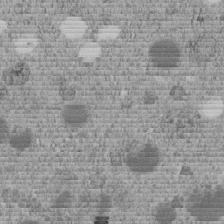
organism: C. elegans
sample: C. elegans embryo early stage